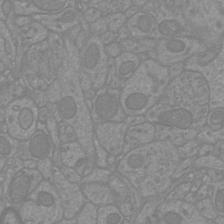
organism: Mouse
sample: Cortical neurons